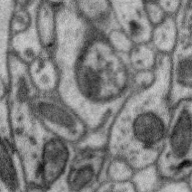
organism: Zebra finch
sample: Brain